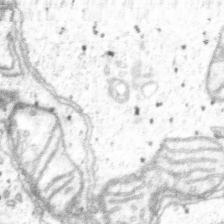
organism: Human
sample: HeLa cells